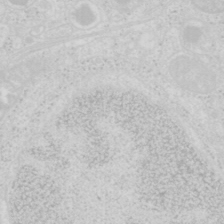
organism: Mouse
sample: Pancreas